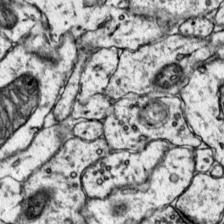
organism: Mouse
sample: Primary visual cortex